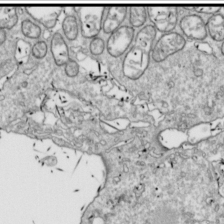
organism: Drosophila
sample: Cell division; meiosis; drosophila spermatocytes